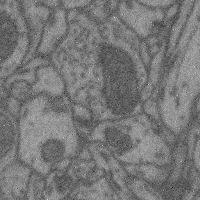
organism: Mouse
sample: Cerebral cortex